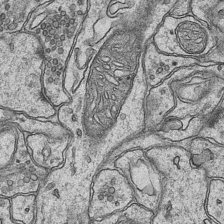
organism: Mouse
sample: CA1 Hippocampus